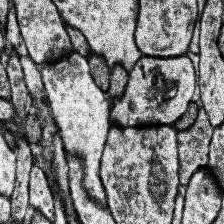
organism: Human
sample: Temporal Lobe